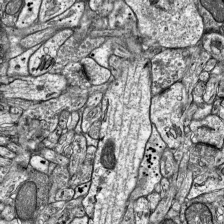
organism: Mouse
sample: Visual Cortex